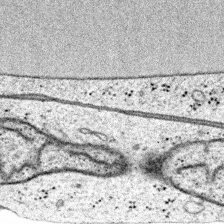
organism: Human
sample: HeLa cells